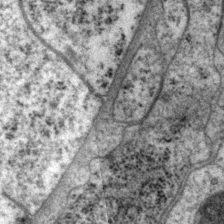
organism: P. pacificus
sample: Pharynx